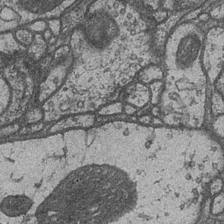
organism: Drosophila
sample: Optic medulla